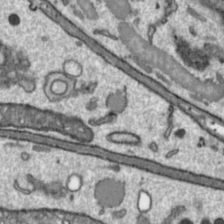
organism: Toxoplasma gondii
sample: Parasites in a vacuole inside a host cell